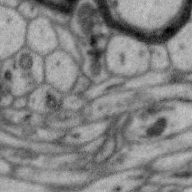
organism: Zebra finch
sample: Brain